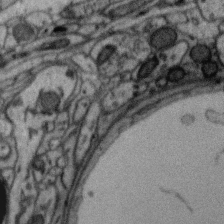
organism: Zebra finch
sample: Brain